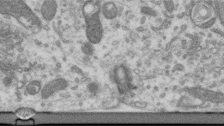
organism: Human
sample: Centriole in RPE cells